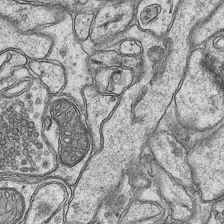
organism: Mouse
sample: CA1 Hippocampus